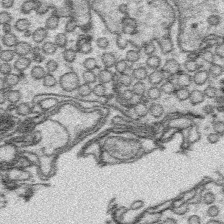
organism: Platynereis dumerilii